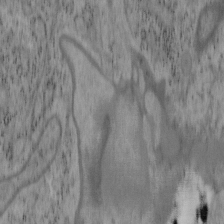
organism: Human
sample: HeLa cells